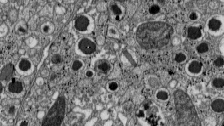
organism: C57BL Mouse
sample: Pancreatic islet